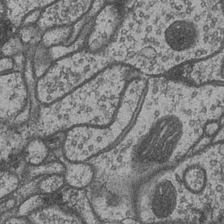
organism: Drosophila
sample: Optic medulla